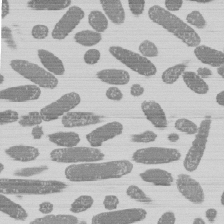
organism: E. coli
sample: Bacterial nucleoid